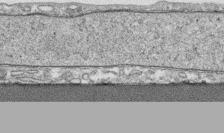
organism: Human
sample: CRL-1474